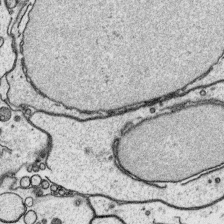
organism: Platynereis dumerilii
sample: Parapodia